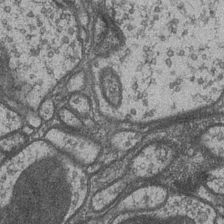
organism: Drosophila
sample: Optic medulla